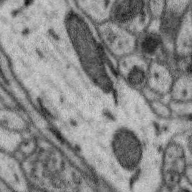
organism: Zebra finch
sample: Brain